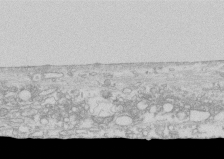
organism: Human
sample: CRL-1474